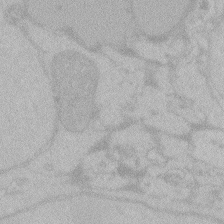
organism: Zebrafish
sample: Macrophage infected with Toxoplasma gondii